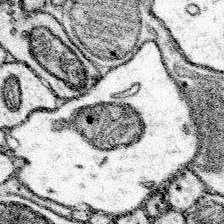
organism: Mouse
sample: Somatosensory cortex neuropil